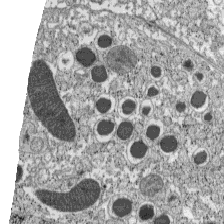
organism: C57BL Mouse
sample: Pancreatic islet